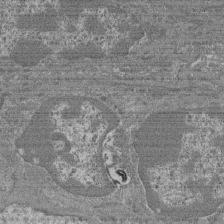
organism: Mouse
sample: Glomerulus